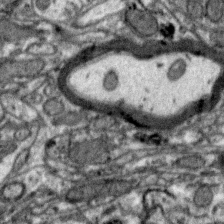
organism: Zebra finch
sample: Brain